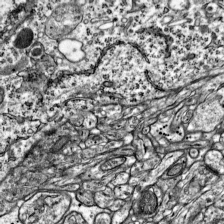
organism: Mouse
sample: Visual Cortex